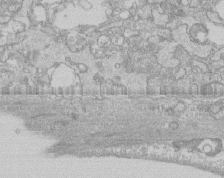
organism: Human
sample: CRL-1474